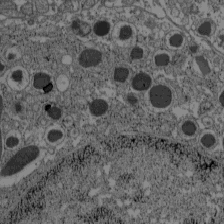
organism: C57BL Mouse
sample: Pancreatic islet